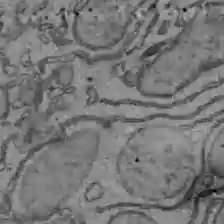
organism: C57BL Mouse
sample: Liver